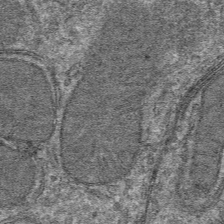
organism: Mouse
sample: Mouse hepatocytes